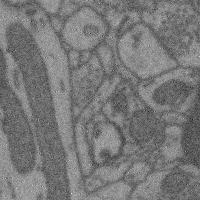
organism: Mouse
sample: Cerebral cortex